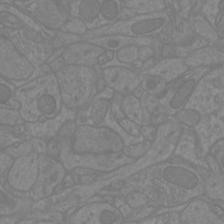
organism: Mouse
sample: Cortical neurons